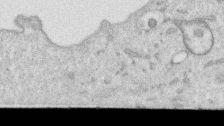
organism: Human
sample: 1205lu cells